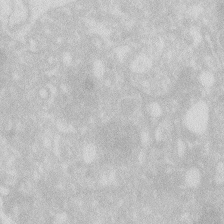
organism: Zebrafish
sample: Macrophage